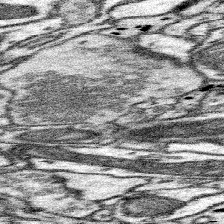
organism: Mouse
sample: Somatosensory cortex neuropil